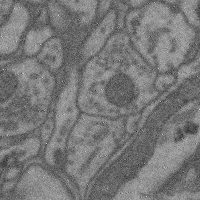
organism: Mouse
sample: Cerebral cortex